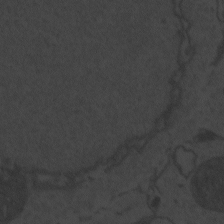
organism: Zebrafish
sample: Macrophage infected with Toxoplasma gondii